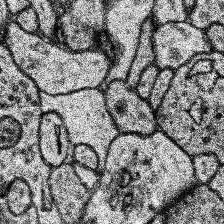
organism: Human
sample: Temporal Lobe